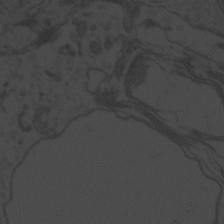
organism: Zebrafish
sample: Macrophage infected with Toxoplasma gondii